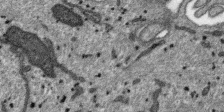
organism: Human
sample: Lung epithelial cells, uninfected (mock) control